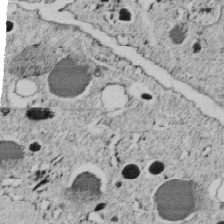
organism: C. elegans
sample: C. elegans embryo early stage